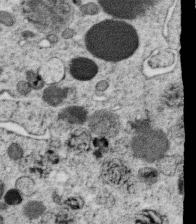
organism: C. elegans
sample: C. elegans oocyte; sperm cells